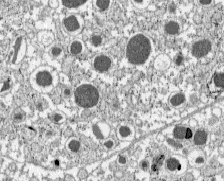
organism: C57BL Mouse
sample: Pancreatic islet